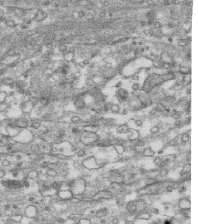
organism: Human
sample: CRL-1474